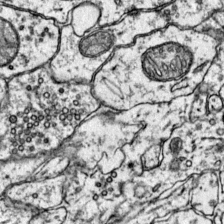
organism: Mouse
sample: Primary visual cortex